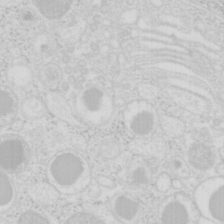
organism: Mouse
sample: Pancreas